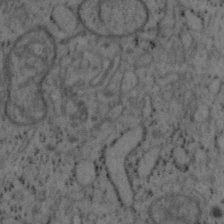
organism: Human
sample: HeLa cells